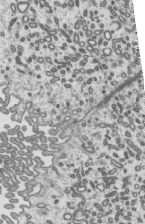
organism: Mouse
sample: Mouse epididymis efferent ductule cilia